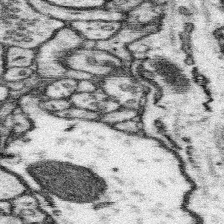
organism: Mouse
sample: Somatosensory cortex neuropil